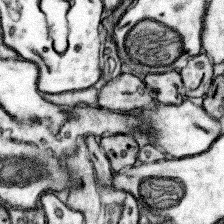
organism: Mouse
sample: Somatosensory cortex neuropil